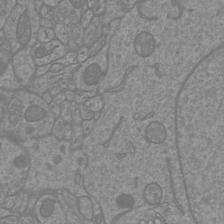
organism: Mouse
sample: Cortical neurons